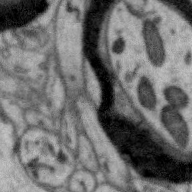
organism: Zebra finch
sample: Brain